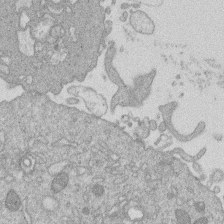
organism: Human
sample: Macrophage cells